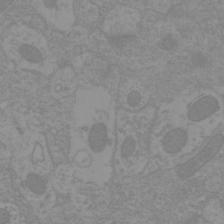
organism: Mouse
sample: Cortical neurons